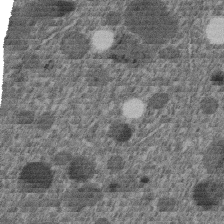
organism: C. elegans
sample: C. elegans embryo early stage